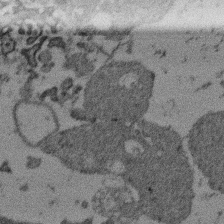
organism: Mouse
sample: Dividing mouse embryo 1 cell stage